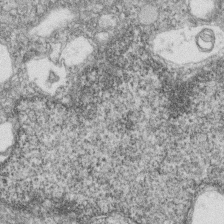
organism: Zebrafish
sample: Cilia; retinal pigment epithelium